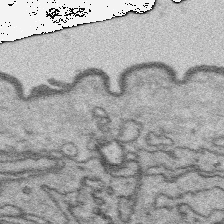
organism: Platynereis dumerilii